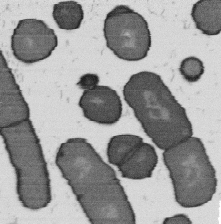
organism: B. subtilis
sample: Bacterial spore